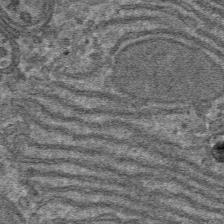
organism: Mouse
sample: Mouse hepatocytes